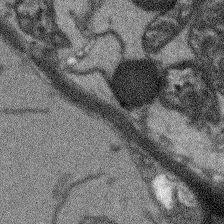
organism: Arabidopsis thaliana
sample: Root tip